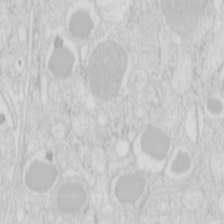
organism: Mouse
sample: Pancreas